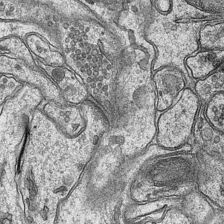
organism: Mouse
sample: CA1 Hippocampus